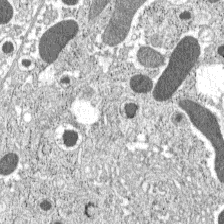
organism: C57BL Mouse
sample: Pancreatic islet